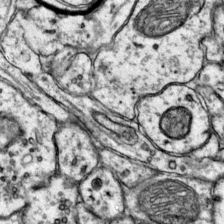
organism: Mouse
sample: Primary visual cortex